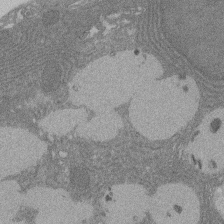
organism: Rat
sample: Salivary granule